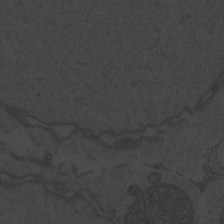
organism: Zebrafish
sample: Macrophage infected with Toxoplasma gondii